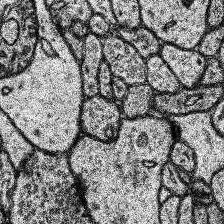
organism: Human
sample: Temporal Lobe